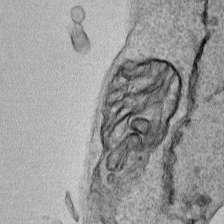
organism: Human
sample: Mitochondria in HCT116 cells